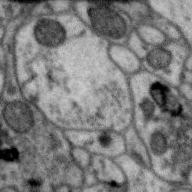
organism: Zebra finch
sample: Brain